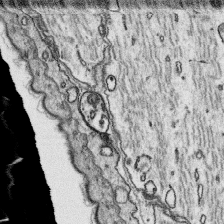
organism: Platynereis dumerilii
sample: Parapodia